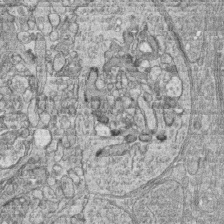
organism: Zebrafish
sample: synaptic ribbons in rod cells and cone cells